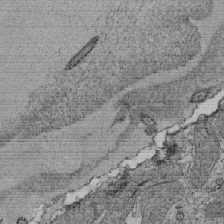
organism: Tetrahymena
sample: Cilia in tetrahymena